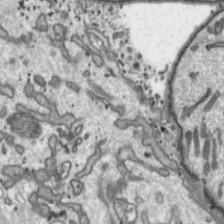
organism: Toxoplasma gondii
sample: Parasites in a vacuole inside a host cell